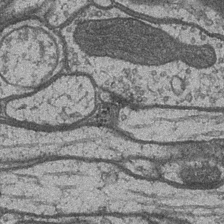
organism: Drosophila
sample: Optic medulla